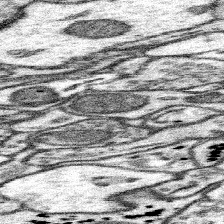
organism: Mouse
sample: Somatosensory cortex neuropil